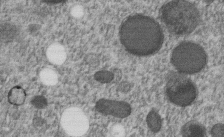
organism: C. elegans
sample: C. elegans embryo early stage